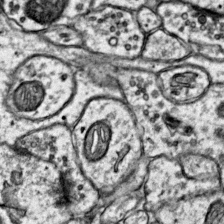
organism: Mouse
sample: Primary visual cortex